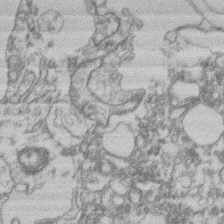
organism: Mouse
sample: T cell stromal cell synapse